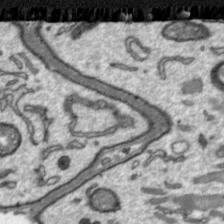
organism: Toxoplasma gondii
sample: Parasites in a vacuole inside a host cell